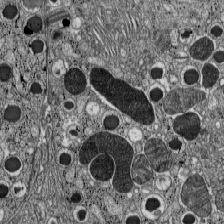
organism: C57BL Mouse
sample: Pancreatic islet